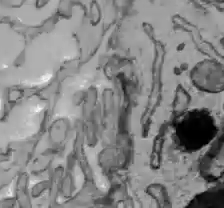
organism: C57BL Mouse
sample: Liver